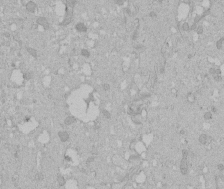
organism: Human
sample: Melanocyte Keratinocyte synapse skin construct